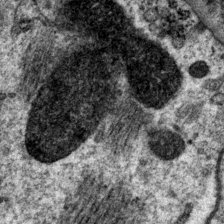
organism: P. pacificus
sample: Pharynx